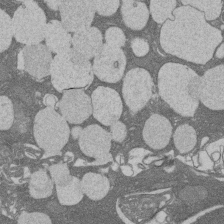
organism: Rat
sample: Salivary granule